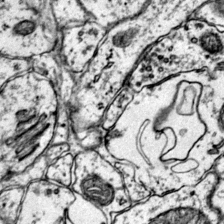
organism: Mouse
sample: Primary visual cortex